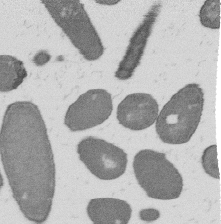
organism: B. subtilis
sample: Bacterial spore